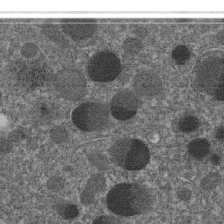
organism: C. elegans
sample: C. elegans embryo early stage